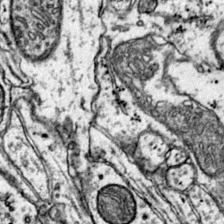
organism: Mouse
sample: Primary visual cortex